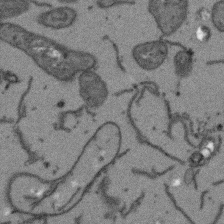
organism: Arabidopsis thaliana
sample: Root tip